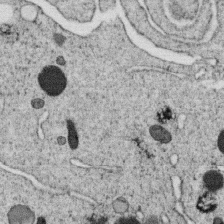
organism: C. elegans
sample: C. elegans oocyte; sperm cells